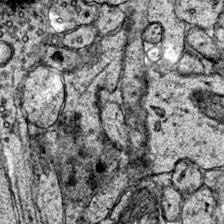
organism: Mouse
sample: Primary visual cortex